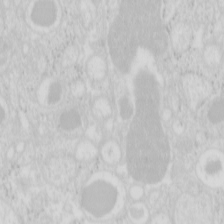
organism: Mouse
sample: Pancreas